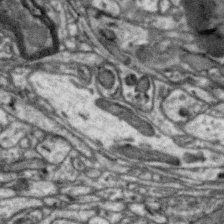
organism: Zebra finch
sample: Brain